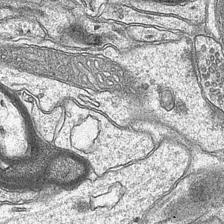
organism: Mouse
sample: CA1 Hippocampus